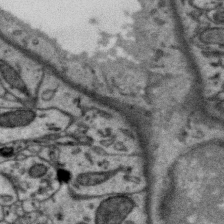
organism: Zebra finch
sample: Brain